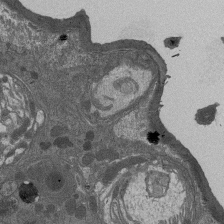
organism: Drosophila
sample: Antenna